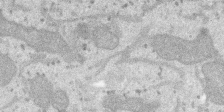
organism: Human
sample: Lung epithelial cells infected with SARS-CoV-2